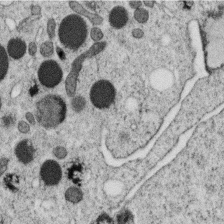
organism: C. elegans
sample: C. elegans oocyte; sperm cells